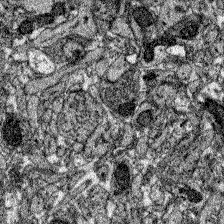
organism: Zebrafish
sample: Larval olfactory bulb